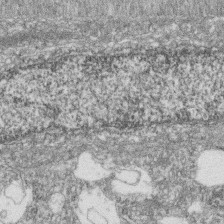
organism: Zebrafish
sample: Cilia; retinal pigment epithelium